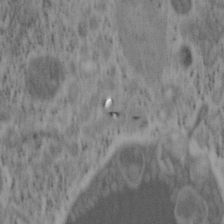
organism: Mouse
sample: OT-I killer T cells with ID8 ovarian cancer cells